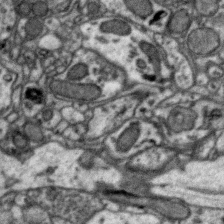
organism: Zebra finch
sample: Brain